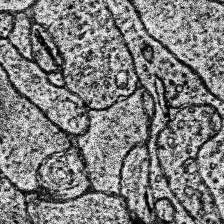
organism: Human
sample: Temporal Lobe